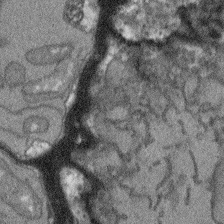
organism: Arabidopsis thaliana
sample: Root tip